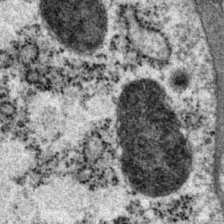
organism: P. pacificus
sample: Pharynx